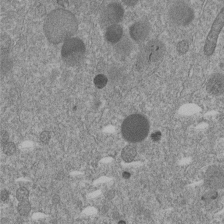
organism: C. elegans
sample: C. elegans embryo early stage